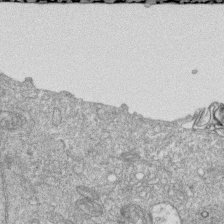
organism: Human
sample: HeLa cell HIV synapse